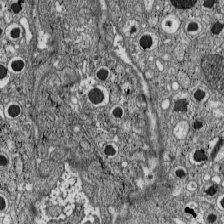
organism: C57BL Mouse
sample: Pancreatic islet